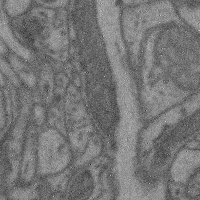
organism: Mouse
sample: Cerebral cortex